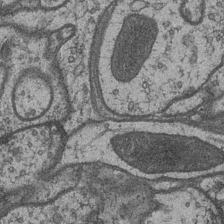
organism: Drosophila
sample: Optic medulla